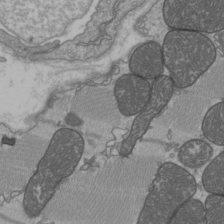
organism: C57BL Mouse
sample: Heart